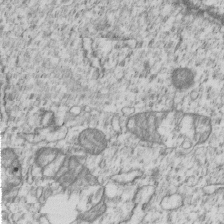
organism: Human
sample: MDA-MB-231 cells